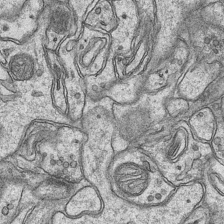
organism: Mouse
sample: CA1 Hippocampus